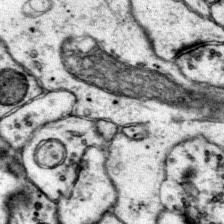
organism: Mouse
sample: Primary visual cortex